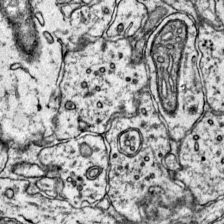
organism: Mouse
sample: Primary visual cortex